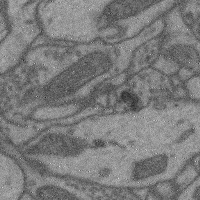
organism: Mouse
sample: Cerebral cortex